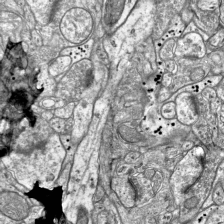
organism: Mouse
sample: Visual Cortex